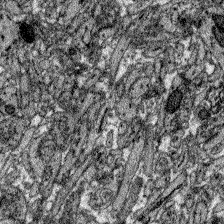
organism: Zebrafish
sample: Larval olfactory bulb